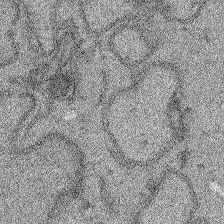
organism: Human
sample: HeLa cells